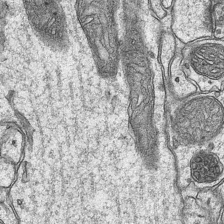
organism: Mouse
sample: CA1 Hippocampus